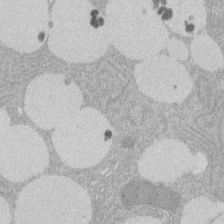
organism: Rat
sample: Salivary granule